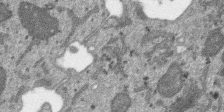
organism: Human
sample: Lung epithelial cells infected with SARS-CoV-2